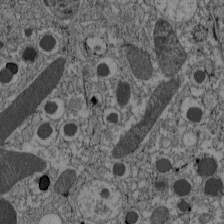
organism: C57BL Mouse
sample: Pancreatic islet